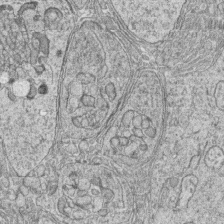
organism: Zebrafish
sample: synaptic ribbons in rod cells and cone cells